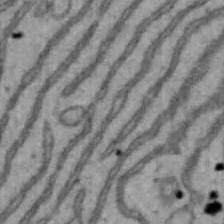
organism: Mouse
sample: Liver